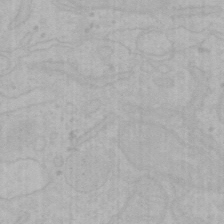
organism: Mouse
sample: Choroid plexus